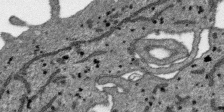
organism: Human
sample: Lung epithelial cells, uninfected (mock) control